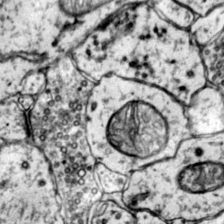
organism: Mouse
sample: Primary visual cortex